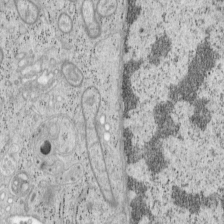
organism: Mouse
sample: OT-I killer T cells with ID8 ovarian cancer cells